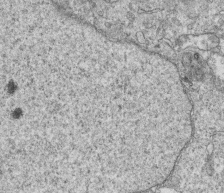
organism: Human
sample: HeLa cell HIV synapse